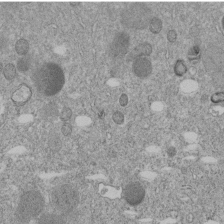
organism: C. elegans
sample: C. elegans embryo early stage